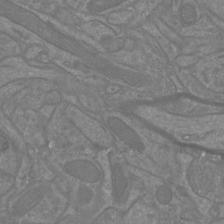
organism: Mouse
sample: Cortical neurons